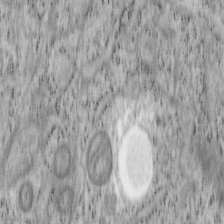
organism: Human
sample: HeLa cells